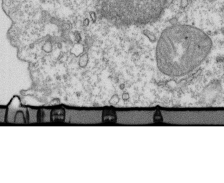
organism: Mouse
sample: Activated OT-1 CD8+ T cells